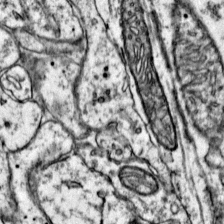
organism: Mouse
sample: Primary visual cortex